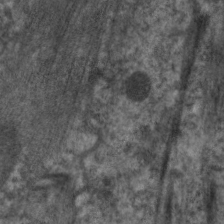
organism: C. elegans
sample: Pharynx